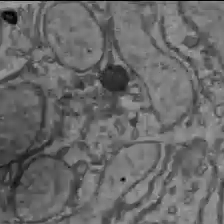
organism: C57BL Mouse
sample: Liver